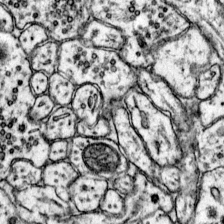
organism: Mouse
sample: Primary visual cortex